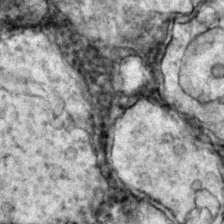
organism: Zebrafish